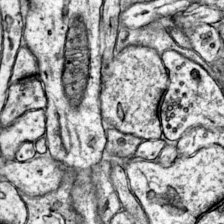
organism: Mouse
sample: Primary visual cortex